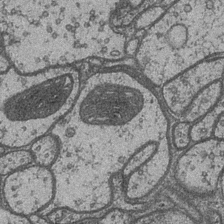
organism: Drosophila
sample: Optic medulla